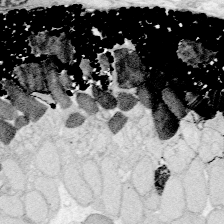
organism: Zebrafish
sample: Whole-Brain